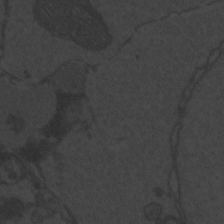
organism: Zebrafish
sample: Macrophage infected with Toxoplasma gondii